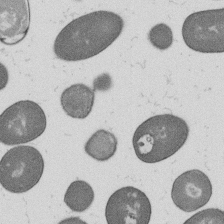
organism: B. subtilis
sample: Bacterial spore